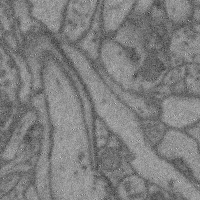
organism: Mouse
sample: Cerebral cortex